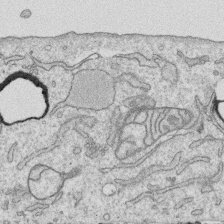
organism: Human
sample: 1205lu cells